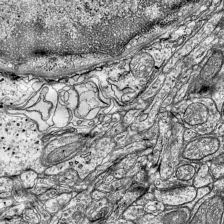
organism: Mouse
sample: Visual Cortex